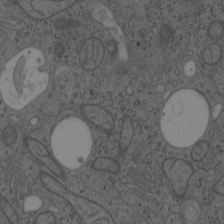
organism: Mouse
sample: OT-I killer T cells with ID8 ovarian cancer cells